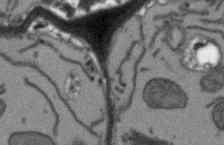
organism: Arabidopsis thaliana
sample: Root tip